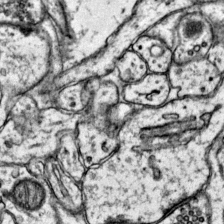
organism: Mouse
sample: Primary visual cortex